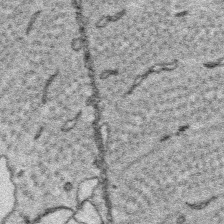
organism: Platynereis dumerilii